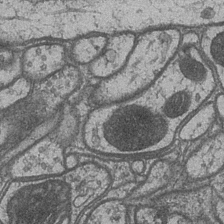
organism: Drosophila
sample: Optic medulla